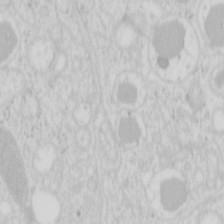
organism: Mouse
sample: Pancreas